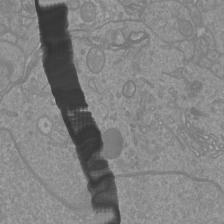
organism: Mouse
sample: Cortical neurons